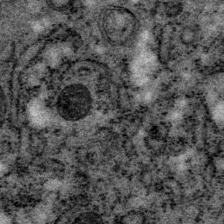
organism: P. pacificus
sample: Pharynx